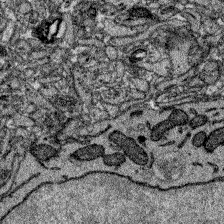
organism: Zebrafish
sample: Larval olfactory bulb